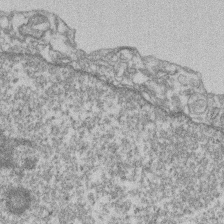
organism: Mouse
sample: T cell stromal cell synapse